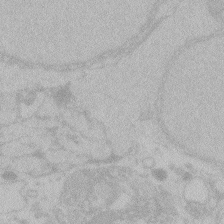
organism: Zebrafish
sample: Macrophage infected with Toxoplasma gondii